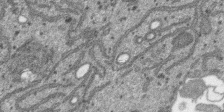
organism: Human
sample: Lung epithelial cells infected with SARS-CoV-2